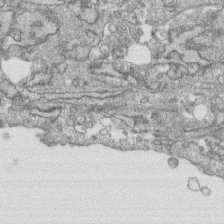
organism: Human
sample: CRL-1474